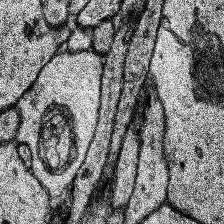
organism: Human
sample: Temporal Lobe